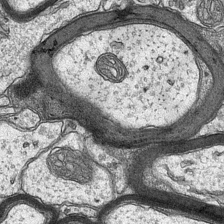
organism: Mouse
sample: CA1 Hippocampus